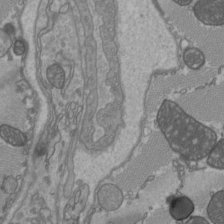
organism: C57BL Mouse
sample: Heart